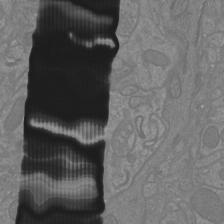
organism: Mouse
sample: Cortical neurons